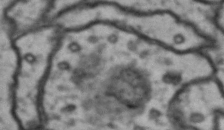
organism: Drosophila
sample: Brain